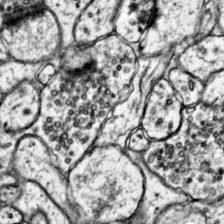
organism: Mouse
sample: Primary visual cortex